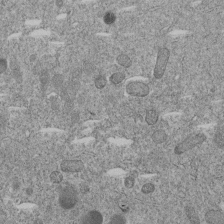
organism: C. elegans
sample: C. elegans embryo early stage